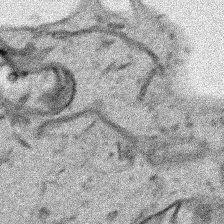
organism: Human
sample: Mitochondria in HCT116 cells